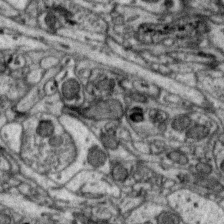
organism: Zebra finch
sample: Brain